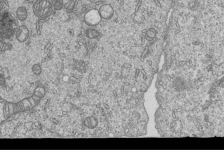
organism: Human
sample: MDA-MB-231 cells